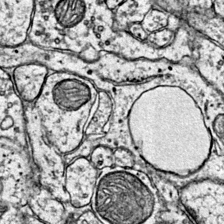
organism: Mouse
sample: Primary visual cortex